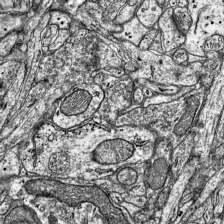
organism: Mouse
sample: Visual Cortex